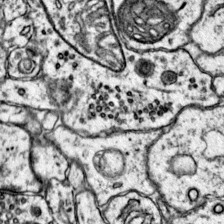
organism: Mouse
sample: Primary visual cortex